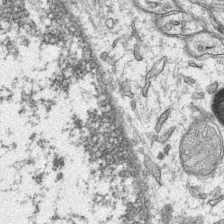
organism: Mouse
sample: CA1 Hippocampus